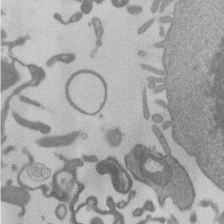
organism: Mouse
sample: Dividing mouse embryo 1 cell stage